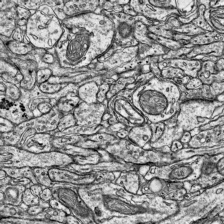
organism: Mouse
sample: Visual Cortex